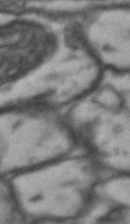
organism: Drosophila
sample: Brain